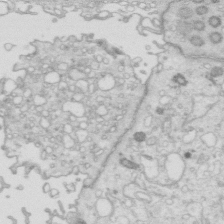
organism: Mouse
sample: Multiciliated cells